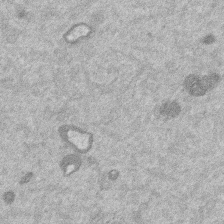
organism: Mouse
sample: Dividing mouse embryo 1 cell stage